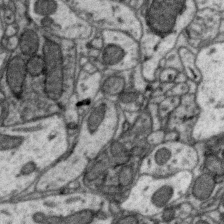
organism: Zebra finch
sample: Brain